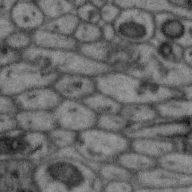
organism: Zebra finch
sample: Brain